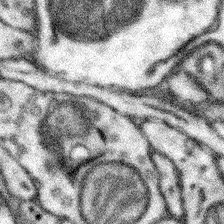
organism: Mouse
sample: Somatosensory cortex neuropil